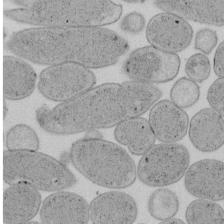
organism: E. coli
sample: Bacterial nucleoid